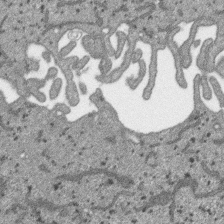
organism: Human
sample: Lung epithelial cells infected with SARS-CoV-2